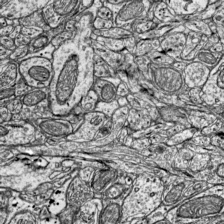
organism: Mouse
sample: Visual Cortex